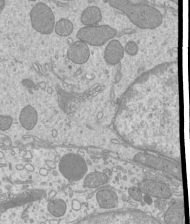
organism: Mouse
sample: Cilia; mouse epididymis